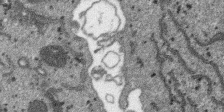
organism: Human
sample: Lung epithelial cells infected with SARS-CoV-2